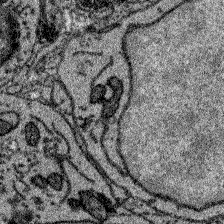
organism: Zebrafish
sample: Larval olfactory bulb